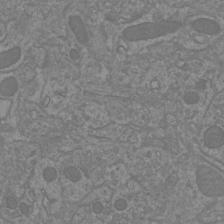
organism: Mouse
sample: Cortical neurons